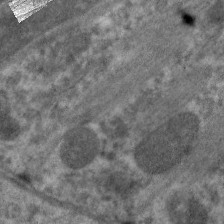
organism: C. elegans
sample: Pharynx